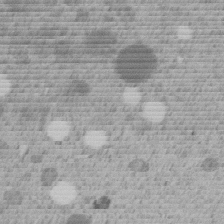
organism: C. elegans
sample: C. elegans embryo early stage